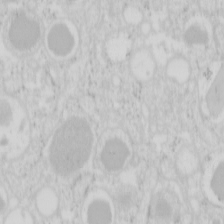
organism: Mouse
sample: Pancreas